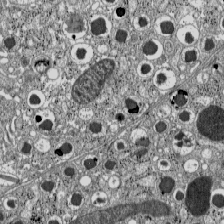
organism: C57BL Mouse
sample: Pancreatic islet